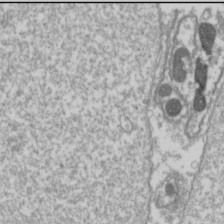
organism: Drosophila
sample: Cell division; meiosis; drosophila spermatocytes